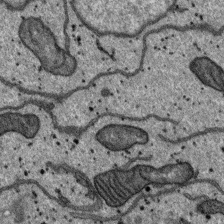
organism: Human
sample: Lung epithelial cells, uninfected (mock) control